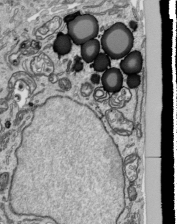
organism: Human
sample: Mitochondria in HCT116 cells